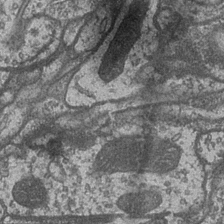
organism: Drosophila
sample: Optic medulla